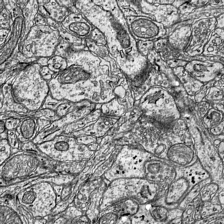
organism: Mouse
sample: Visual Cortex